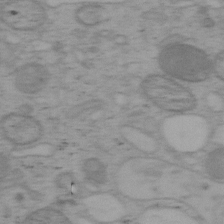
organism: Mouse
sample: OT-I killer T cells with ID8 ovarian cancer cells